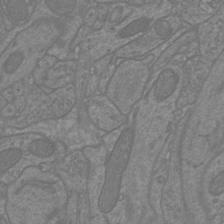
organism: Mouse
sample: Cortical neurons